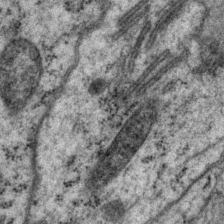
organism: P. pacificus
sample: Pharynx